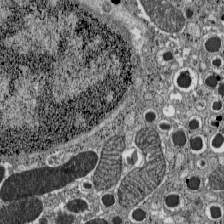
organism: C57BL Mouse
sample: Pancreatic islet